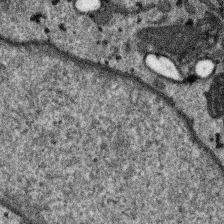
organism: Human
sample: Lung epithelial cells infected with SARS-CoV-2